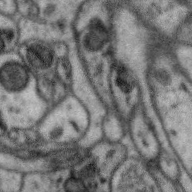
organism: Zebra finch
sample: Brain